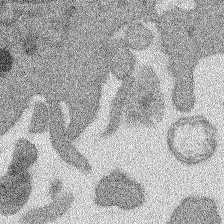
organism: Human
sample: HeLa cells